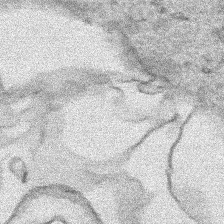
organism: Human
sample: Mitochondria in HCT116 cells